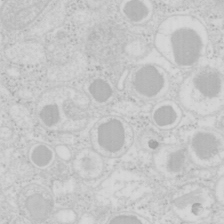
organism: Mouse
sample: Pancreas